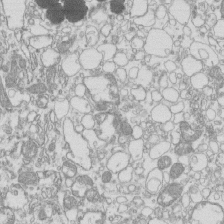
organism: Mouse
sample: Macrophages